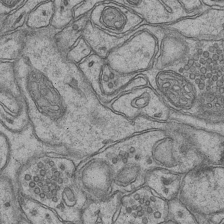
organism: Mouse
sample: CA1 Hippocampus